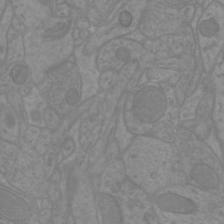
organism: Mouse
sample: Cortical neurons